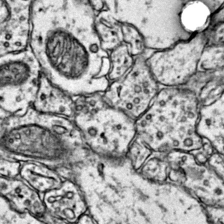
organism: Mouse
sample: Primary visual cortex